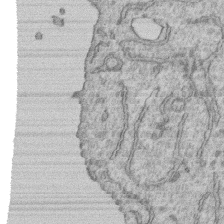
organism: Human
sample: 1205lu cells